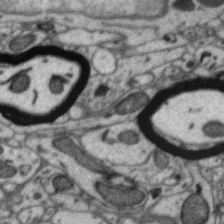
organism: Zebra finch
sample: Brain